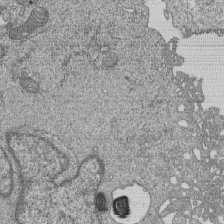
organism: Human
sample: MDA-MB-231 cells